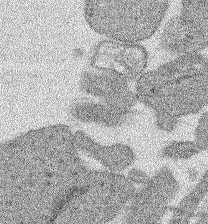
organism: Human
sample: HeLa cells